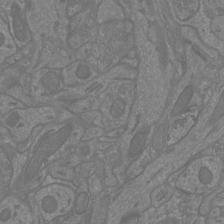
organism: Mouse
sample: Cortical neurons